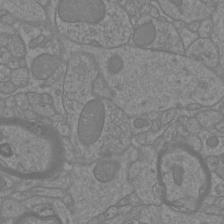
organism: Mouse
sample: Cortical neurons